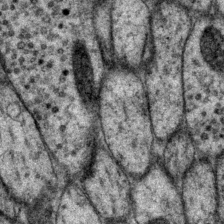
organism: P. pacificus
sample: Pharynx